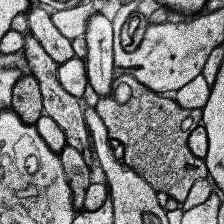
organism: Human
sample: Temporal Lobe